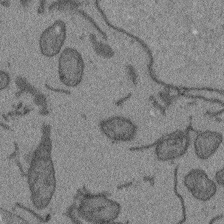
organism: Arabidopsis thaliana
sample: Root tip